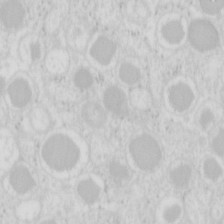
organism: Mouse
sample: Pancreas